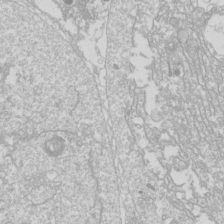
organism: Drosophila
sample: Cell division; meiosis; drosophila spermatocytes